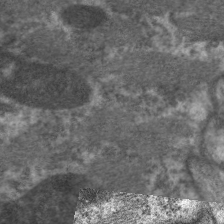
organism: C. elegans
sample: Pharynx